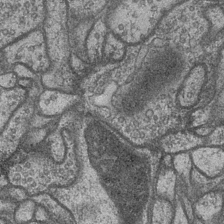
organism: Drosophila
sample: Optic medulla